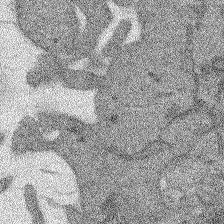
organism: Human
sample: HeLa cells